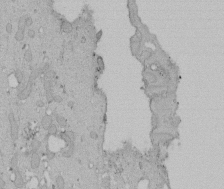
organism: Human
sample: Melanocyte Keratinocyte synapse skin construct